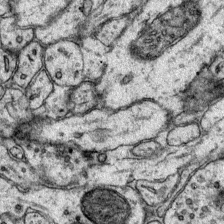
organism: Mouse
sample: Primary visual cortex